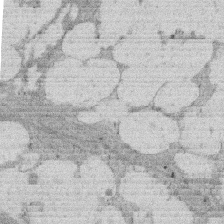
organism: Rat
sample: Salivary granule